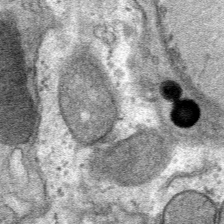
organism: Mouse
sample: Mouse Salivary gland